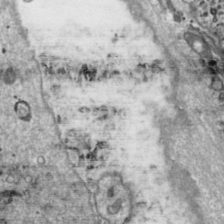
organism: Toxoplasma gondii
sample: Parasites in a vacuole inside a host cell